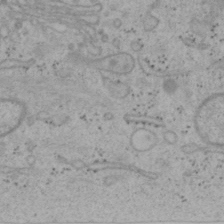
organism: Human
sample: HeLa cells